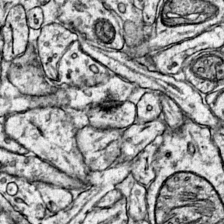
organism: Mouse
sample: Primary visual cortex